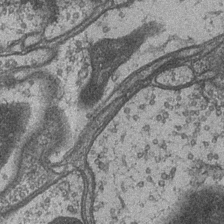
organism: Drosophila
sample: Optic medulla